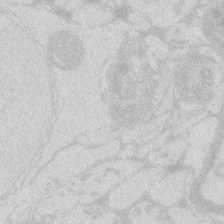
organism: Zebrafish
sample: Macrophage